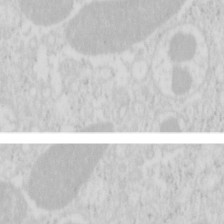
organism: Mouse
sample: Pancreas